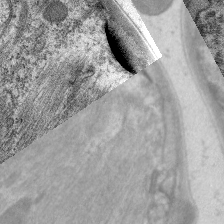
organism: C. elegans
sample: Pharynx